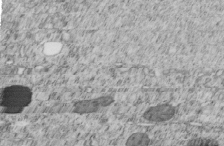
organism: C. elegans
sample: C. elegans embryo early stage